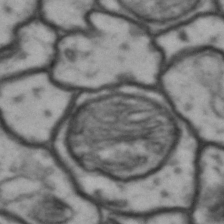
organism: Drosophila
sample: Brain